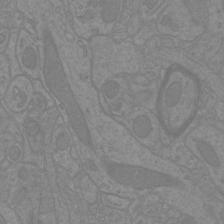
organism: Mouse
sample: Cortical neurons